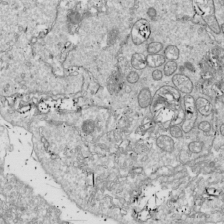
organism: Drosophila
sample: Cell division; meiosis; drosophila spermatocytes